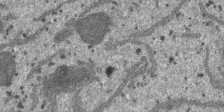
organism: Human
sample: Lung epithelial cells infected with SARS-CoV-2